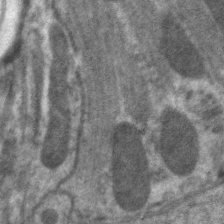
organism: C. elegans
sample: Pharynx